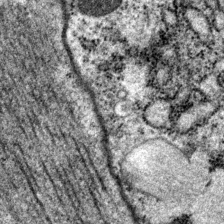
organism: P. pacificus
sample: Pharynx